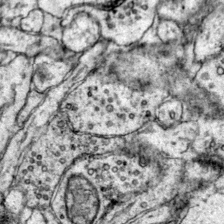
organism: Mouse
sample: Primary visual cortex